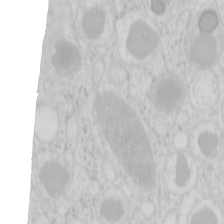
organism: Mouse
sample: Pancreas